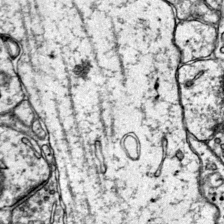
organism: Mouse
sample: Primary visual cortex